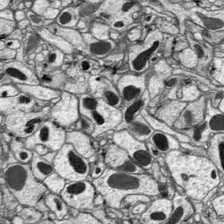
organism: Drosophila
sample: Optic lobe